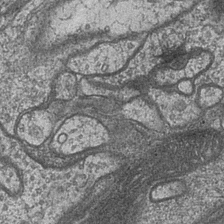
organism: Drosophila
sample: Optic medulla